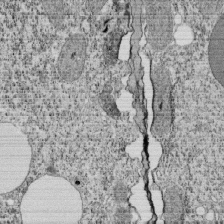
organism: Tetrahymena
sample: Cilia in tetrahymena